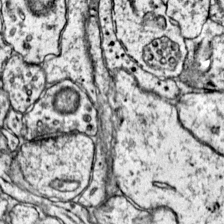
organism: Mouse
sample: Primary visual cortex